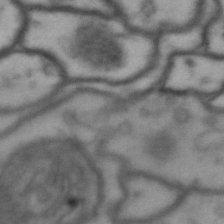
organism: Drosophila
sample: Brain